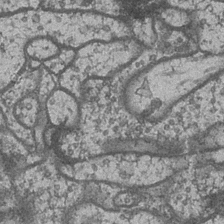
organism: Drosophila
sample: Optic medulla